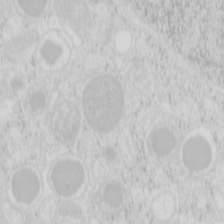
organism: Mouse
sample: Pancreas